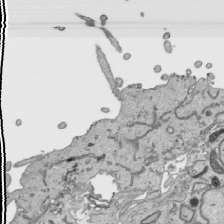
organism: Human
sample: Mitochondria in HCT116 cells